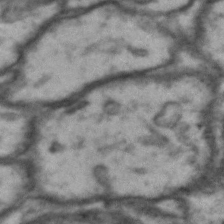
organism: Drosophila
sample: Brain